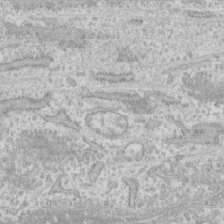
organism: Human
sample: CRL-1474